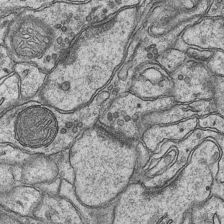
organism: Mouse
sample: CA1 Hippocampus